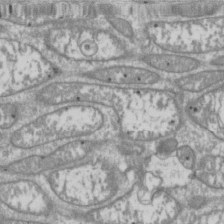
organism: Drosophila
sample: Cell division; meiosis; drosophila spermatocytes